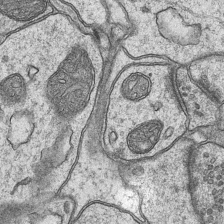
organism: Mouse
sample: CA1 Hippocampus